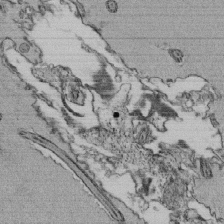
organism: Tetrahymena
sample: Cilia in tetrahymena